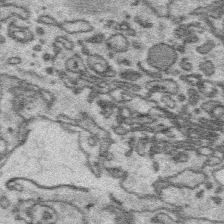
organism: Platynereis dumerilii